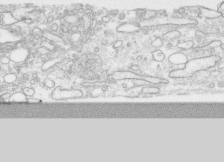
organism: Human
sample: CRL-1474